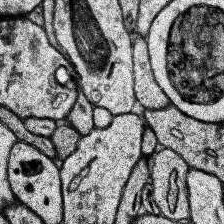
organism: Human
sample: Temporal Lobe